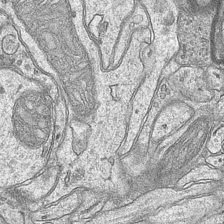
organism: Mouse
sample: CA1 Hippocampus